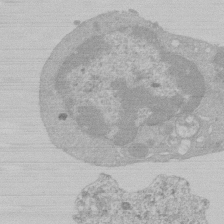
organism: Mouse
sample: Activated Pmel transgenic CD8+ T Cells